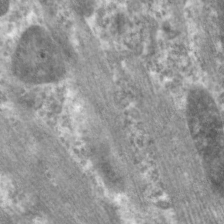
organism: C. elegans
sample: Pharynx